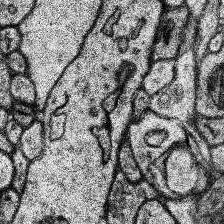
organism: Human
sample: Temporal Lobe